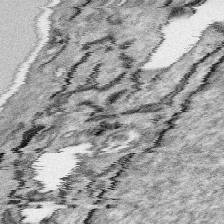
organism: Human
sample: HeLa cells